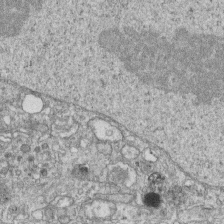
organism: Human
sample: HeLa cell HIV synapse